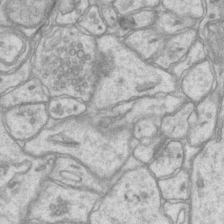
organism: Mouse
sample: CA1 Hippocampus